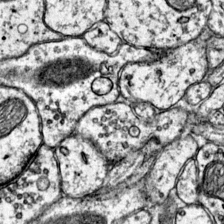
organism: Mouse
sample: Primary visual cortex